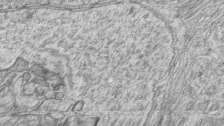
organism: Zebrafish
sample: synaptic ribbons in rod cells and cone cells